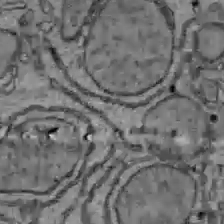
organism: C57BL Mouse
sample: Liver